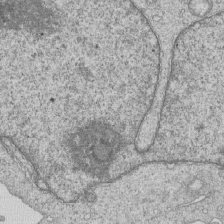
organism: Human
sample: MDA-MB-231 cells